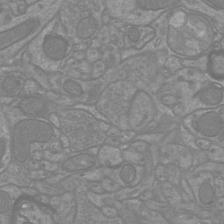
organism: Mouse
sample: Cortical neurons